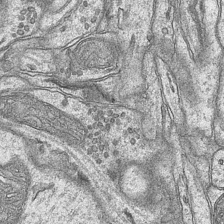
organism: Mouse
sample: CA1 Hippocampus